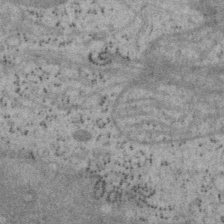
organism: Human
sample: HeLa cells